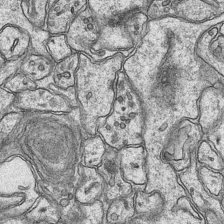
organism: Mouse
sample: CA1 Hippocampus